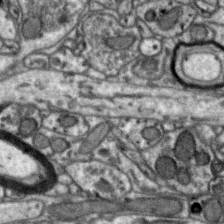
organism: Zebra finch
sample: Brain